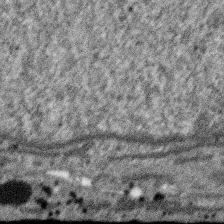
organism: Human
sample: Lung epithelial cells infected with SARS-CoV-2